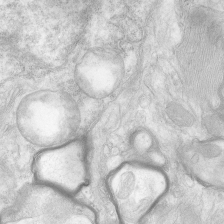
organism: Human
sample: Neocortex